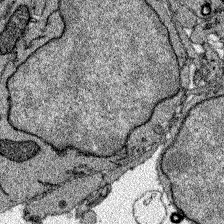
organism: Zebrafish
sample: Larval olfactory bulb